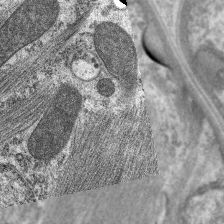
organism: C. elegans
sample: Pharynx